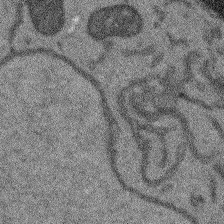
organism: Arabidopsis thaliana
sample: Root tip